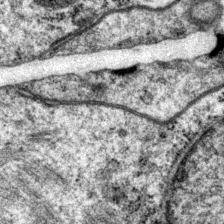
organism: P. pacificus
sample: Pharynx